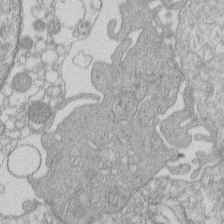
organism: Human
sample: Macrophage cells